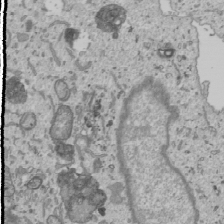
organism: Human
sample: Mitochondria in U2OS cells